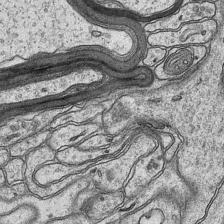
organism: Mouse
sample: CA1 Hippocampus